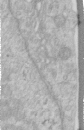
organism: Human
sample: Centriole in RPE cells